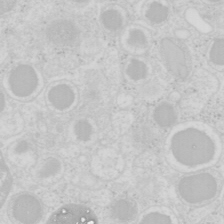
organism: Mouse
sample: Pancreas